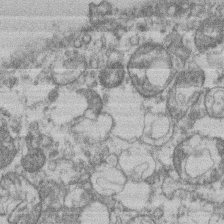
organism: Mouse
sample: T cell stromal cell synapse